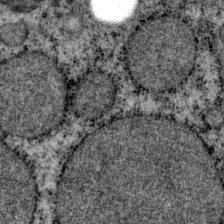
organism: P. pacificus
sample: Pharynx